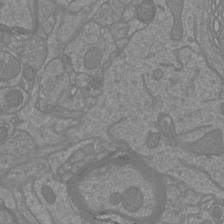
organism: Mouse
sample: Cortical neurons